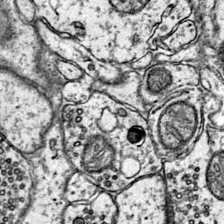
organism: Mouse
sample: Primary visual cortex